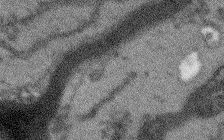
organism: Arabidopsis thaliana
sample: Root tip